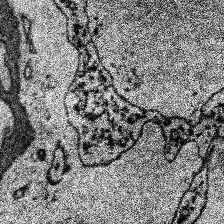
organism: Human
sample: Temporal Lobe